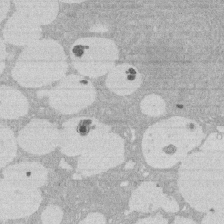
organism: Rat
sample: Salivary granule